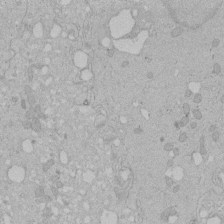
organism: Human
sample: Melanocyte Keratinocyte synapse skin construct